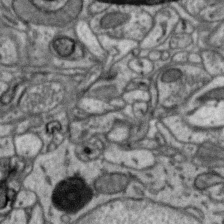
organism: Zebra finch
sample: Brain